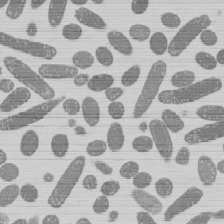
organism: E. coli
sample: Bacterial nucleoid